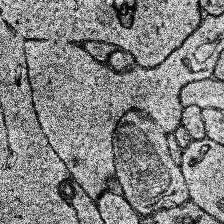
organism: Human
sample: Temporal Lobe